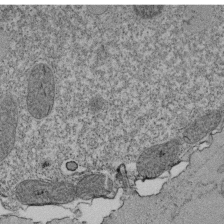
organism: Tetrahymena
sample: Cilia in tetrahymena